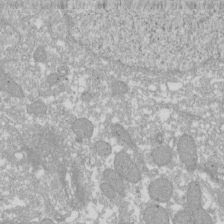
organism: Xenopus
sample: Cilia; centrioles in frog embryo cells